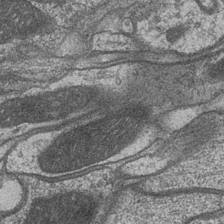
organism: Drosophila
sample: Optic medulla